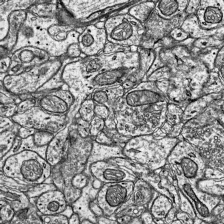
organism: Mouse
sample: Visual Cortex